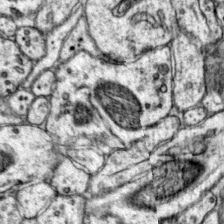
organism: Mouse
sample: Primary visual cortex